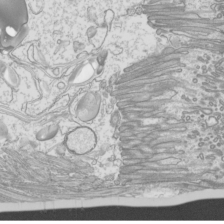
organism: Mouse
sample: Cilia; mouse epididymis